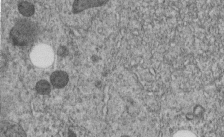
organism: C. elegans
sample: C. elegans embryo early stage